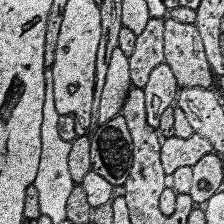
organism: Human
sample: Temporal Lobe